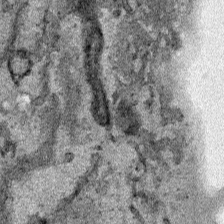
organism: Human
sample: Mitochondria in HCT116 cells